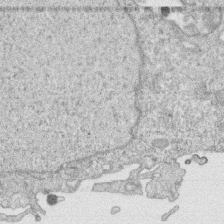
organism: Human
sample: HeLa cell HIV synapse